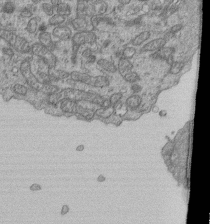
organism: Human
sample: Retinal organoid Rod and Cone cells